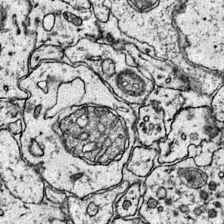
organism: Mouse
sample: Primary visual cortex